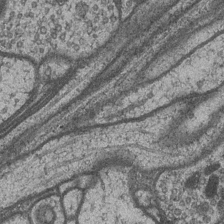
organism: Drosophila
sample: Optic medulla